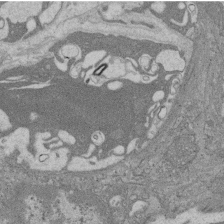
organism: Rat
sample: Salivary granule